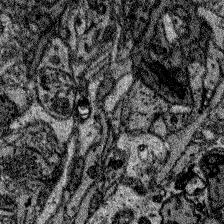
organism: Zebrafish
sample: Larval olfactory bulb